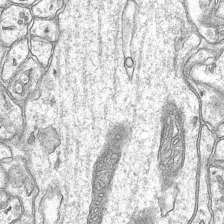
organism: Mouse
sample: CA1 Hippocampus